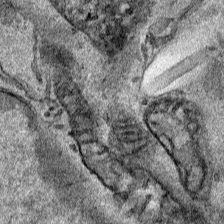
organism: Human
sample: Mitochondria in HCT116 cells